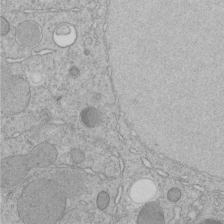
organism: C. elegans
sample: C. elegans embryo early stage